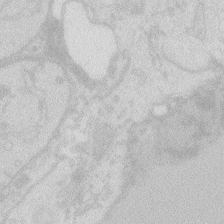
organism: Zebrafish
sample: Macrophage